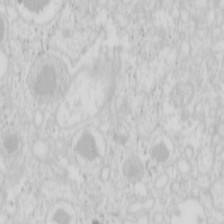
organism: Mouse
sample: Pancreas